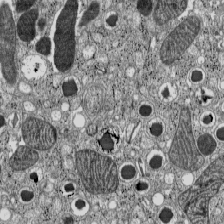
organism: C57BL Mouse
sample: Pancreatic islet